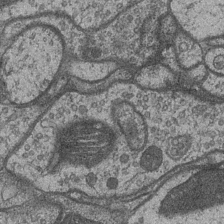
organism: Drosophila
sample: Optic medulla